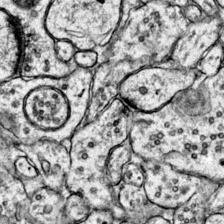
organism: Mouse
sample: Primary visual cortex